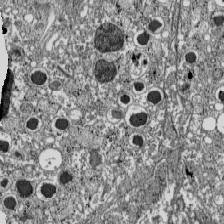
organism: C57BL Mouse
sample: Pancreatic islet